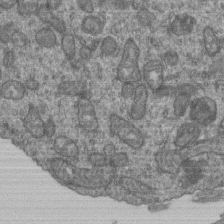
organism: Human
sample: Retinal organoid Rod and Cone cells